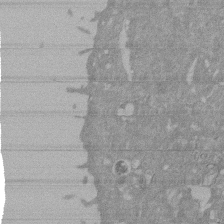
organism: Mouse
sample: ED-1 cell nuclei; centrioles